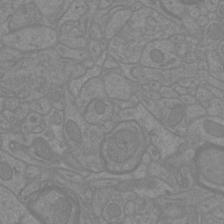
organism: Mouse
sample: Cortical neurons